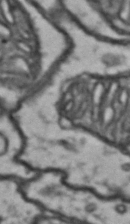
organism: Drosophila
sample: Brain